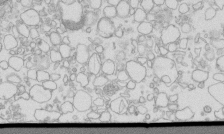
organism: Mouse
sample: Macrophages